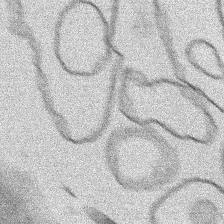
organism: Human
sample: Mitochondria in HCT116 cells